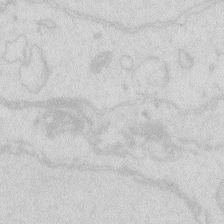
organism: Zebrafish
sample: Macrophage